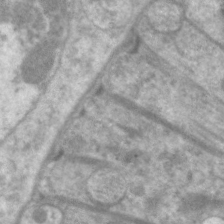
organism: C. elegans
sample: Pharynx